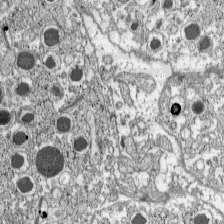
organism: C57BL Mouse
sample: Pancreatic islet